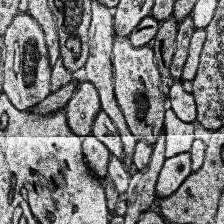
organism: Human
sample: Temporal Lobe